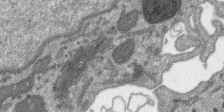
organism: Human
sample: Lung epithelial cells infected with SARS-CoV-2